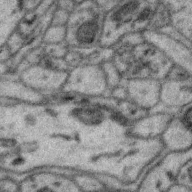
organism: Zebra finch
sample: Brain